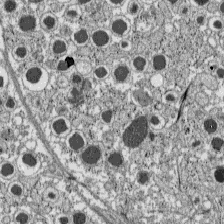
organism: C57BL Mouse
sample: Pancreatic islet